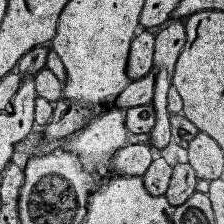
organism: Human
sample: Temporal Lobe